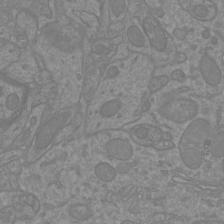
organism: Mouse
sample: Cortical neurons